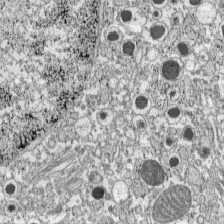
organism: C57BL Mouse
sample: Pancreatic islet